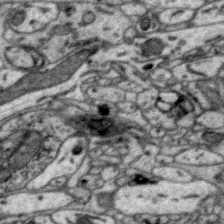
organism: Zebra finch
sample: Brain